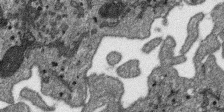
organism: Human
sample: Lung epithelial cells infected with SARS-CoV-2